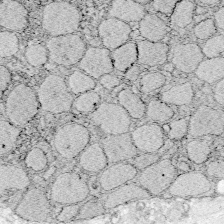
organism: Zebrafish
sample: Whole-Brain